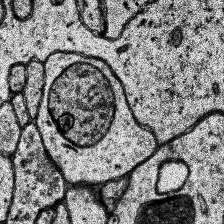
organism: Human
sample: Temporal Lobe